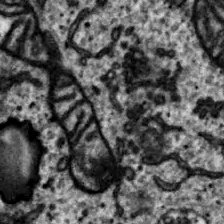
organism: Human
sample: HeLa cells